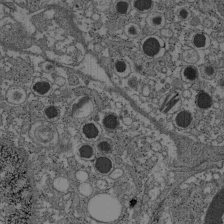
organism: C57BL Mouse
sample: Pancreatic islet